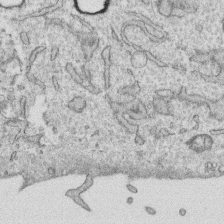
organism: Human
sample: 1205lu cells